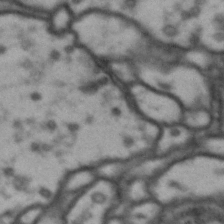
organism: Drosophila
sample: Brain